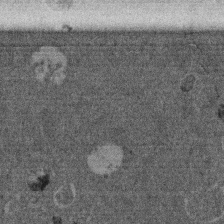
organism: Mouse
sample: Dividing mouse embryo 1 cell stage